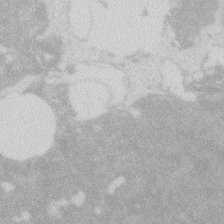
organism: Zebrafish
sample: Macrophage